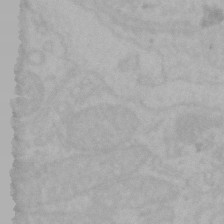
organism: Mouse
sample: Choroid plexus